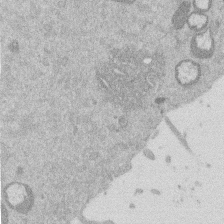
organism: Mouse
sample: Dividing mouse embryo 1 cell stage